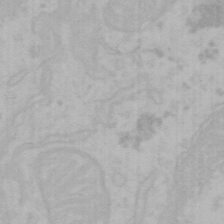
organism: Mouse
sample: Choroid plexus